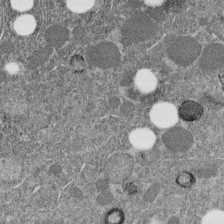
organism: C. elegans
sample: C. elegans embryo early stage